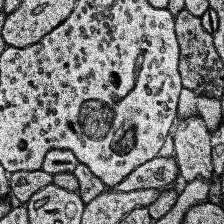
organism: Human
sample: Temporal Lobe